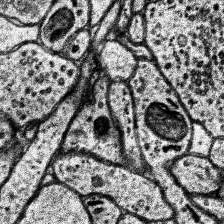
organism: Human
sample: Temporal Lobe